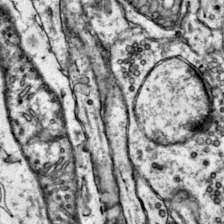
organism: Mouse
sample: Primary visual cortex